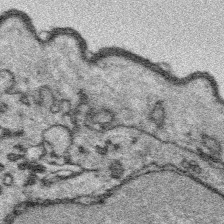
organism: Platynereis dumerilii